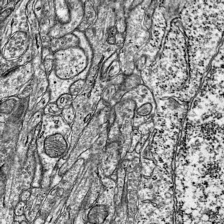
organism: Mouse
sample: Visual Cortex